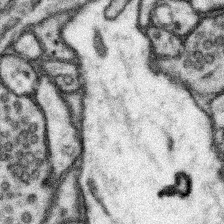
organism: Mouse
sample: Somatosensory cortex neuropil